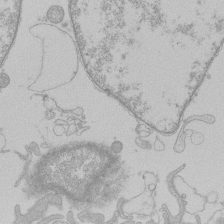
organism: Human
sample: Macrophage cells